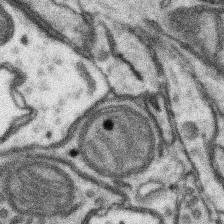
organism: Mouse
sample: Somatosensory cortex neuropil